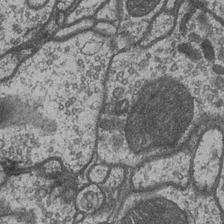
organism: Drosophila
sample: Optic medulla